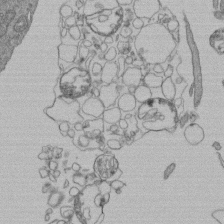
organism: Human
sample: Retinal organoid Rod and Cone cells